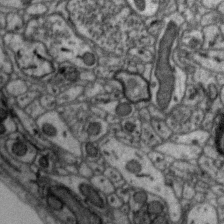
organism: Zebra finch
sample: Brain